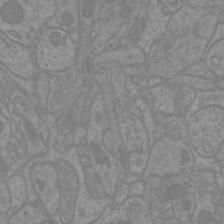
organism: Mouse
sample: Cortical neurons